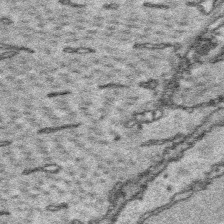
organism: Platynereis dumerilii